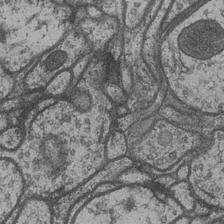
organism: Drosophila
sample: Optic medulla